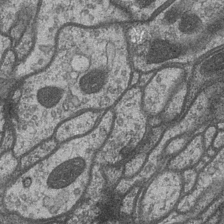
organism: Drosophila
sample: Optic medulla